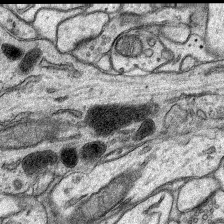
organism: Rat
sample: Hippocampus